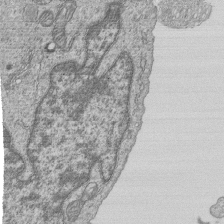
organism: Human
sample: MDA-MB-231 cells